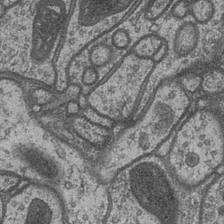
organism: Drosophila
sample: Optic medulla